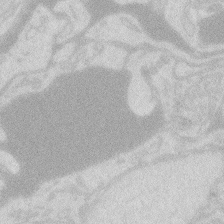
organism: Zebrafish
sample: Macrophage